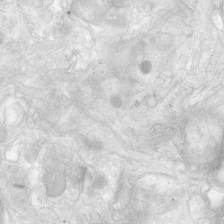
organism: Human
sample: Neocortex